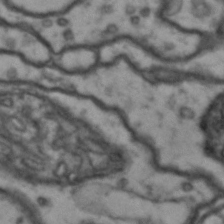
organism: Drosophila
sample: Brain